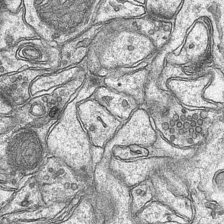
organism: Mouse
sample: CA1 Hippocampus